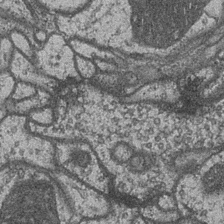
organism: Drosophila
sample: Optic medulla